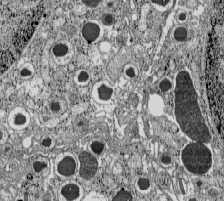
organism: C57BL Mouse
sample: Pancreatic islet